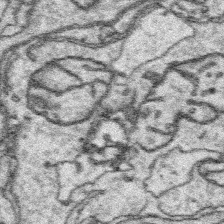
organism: Platynereis dumerilii